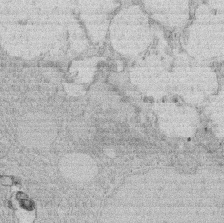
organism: Rat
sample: Salivary granule